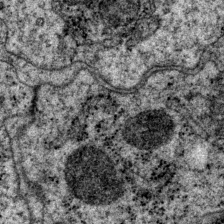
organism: P. pacificus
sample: Pharynx